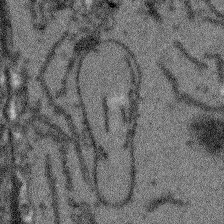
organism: Arabidopsis thaliana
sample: Root tip